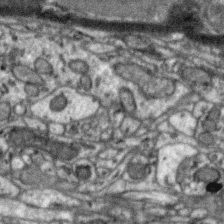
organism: Zebra finch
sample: Brain